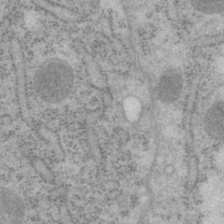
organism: P. pacificus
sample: Pharynx